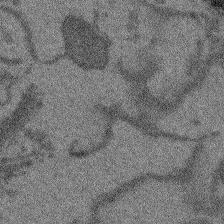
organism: Arabidopsis thaliana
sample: Root tip